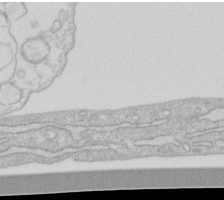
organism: Human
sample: Fibroblast cells